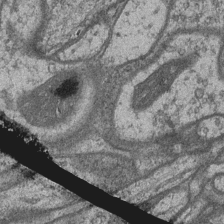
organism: Drosophila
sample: Optic medulla